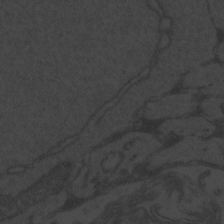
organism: Zebrafish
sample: Macrophage infected with Toxoplasma gondii